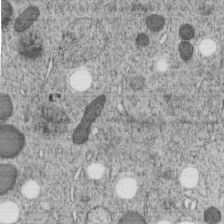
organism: C. elegans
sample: C. elegans embryo early stage